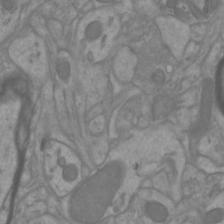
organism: Mouse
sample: Cortical neurons